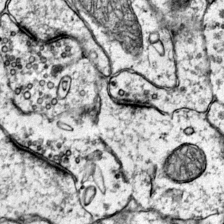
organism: Mouse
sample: Primary visual cortex